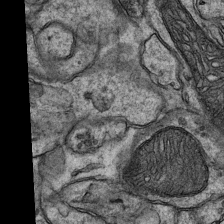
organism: Mouse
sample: CA1 Hippocampus